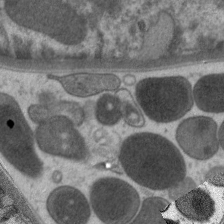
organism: C. elegans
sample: Pharynx